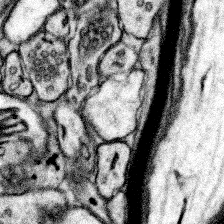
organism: Mouse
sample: Somatosensory cortex neuropil